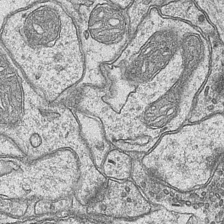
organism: Mouse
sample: CA1 Hippocampus